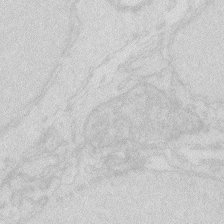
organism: Zebrafish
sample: Macrophage